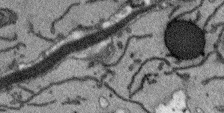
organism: Arabidopsis thaliana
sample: Root tip